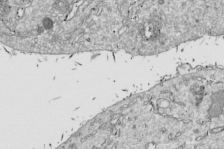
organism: Drosophila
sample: Cell division; meiosis; drosophila spermatocytes